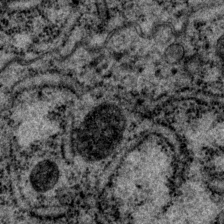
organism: P. pacificus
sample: Pharynx